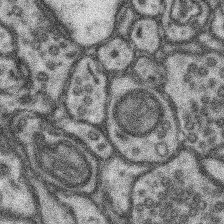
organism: Mouse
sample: Somatosensory cortex neuropil